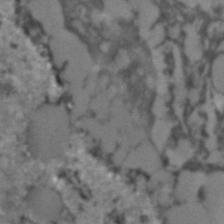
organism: C. elegans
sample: C. elegans embryo